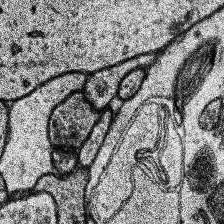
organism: Human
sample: Temporal Lobe